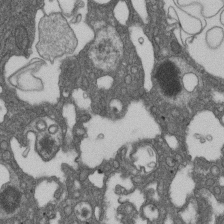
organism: Drosophila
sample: Nephrocyte